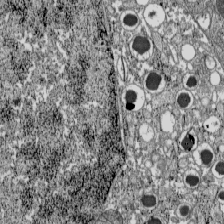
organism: C57BL Mouse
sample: Pancreatic islet